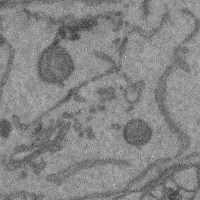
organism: Mouse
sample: Cerebral cortex